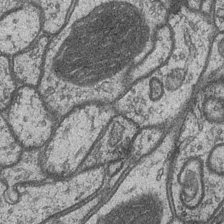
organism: Drosophila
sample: Optic medulla